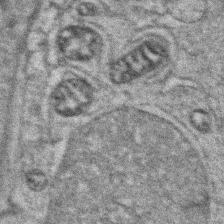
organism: Zebrafish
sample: Zebrafish embryo